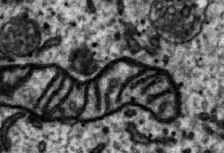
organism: Human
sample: HeLa cells